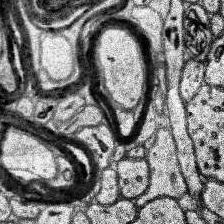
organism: Human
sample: Temporal Lobe